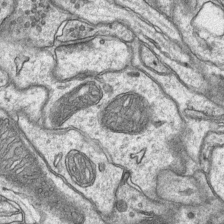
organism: Mouse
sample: CA1 Hippocampus